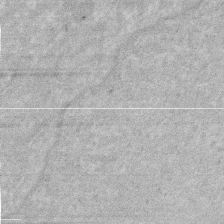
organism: Human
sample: HIV infected U937 cells